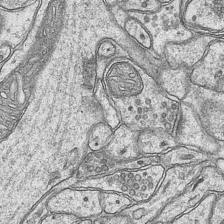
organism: Mouse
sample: CA1 Hippocampus